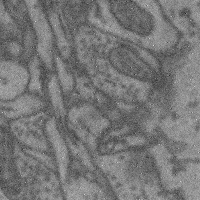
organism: Mouse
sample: Cerebral cortex